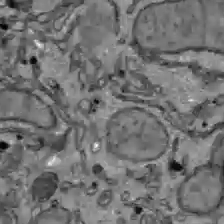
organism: C57BL Mouse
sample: Liver